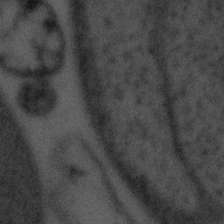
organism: Tuwongella immobilis